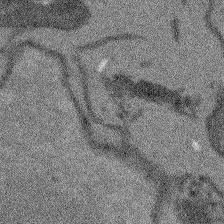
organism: Arabidopsis thaliana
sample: Root tip